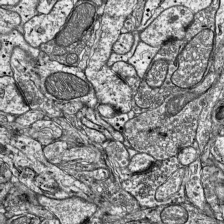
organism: Mouse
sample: Visual Cortex